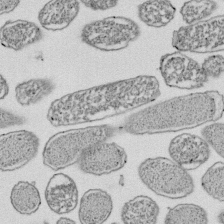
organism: E. coli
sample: Bacterial nucleoid